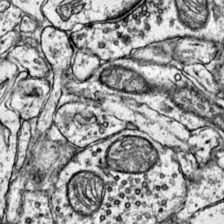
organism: Mouse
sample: Primary visual cortex